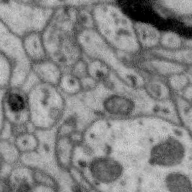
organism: Zebra finch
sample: Brain